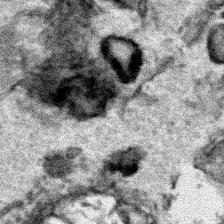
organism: Human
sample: Mitochondria in HCT116 cells